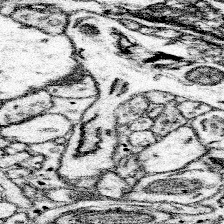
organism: Mouse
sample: Somatosensory cortex neuropil